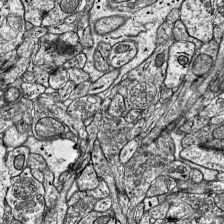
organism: Mouse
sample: Visual Cortex